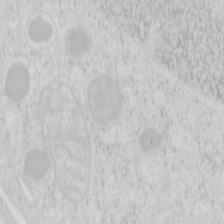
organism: Mouse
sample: Pancreas